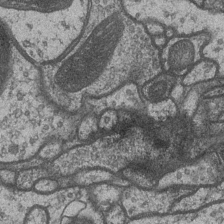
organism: Drosophila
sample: Optic medulla